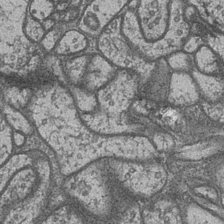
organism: Drosophila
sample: Optic medulla